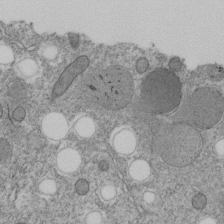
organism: C. elegans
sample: C. elegans embryo early stage